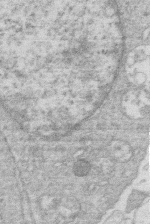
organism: Human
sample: Macrophage cells